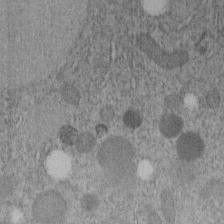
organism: C. elegans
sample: C. elegans embryo early stage